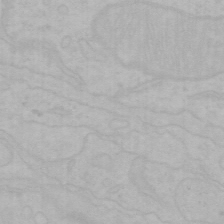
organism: Mouse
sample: Choroid plexus